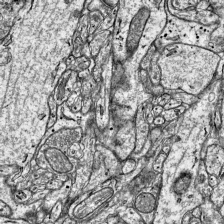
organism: Mouse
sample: Visual Cortex